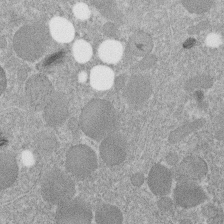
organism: C. elegans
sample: C. elegans embryo early stage